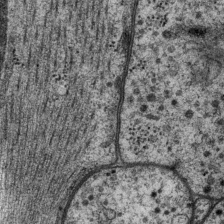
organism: P. pacificus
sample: Pharynx